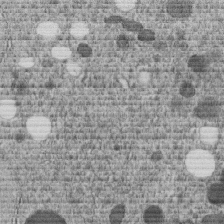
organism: C. elegans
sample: C. elegans embryo early stage